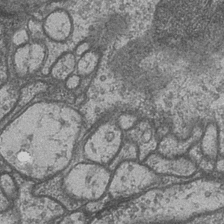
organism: Drosophila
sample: Optic medulla